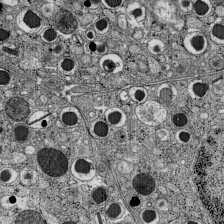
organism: C57BL Mouse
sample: Pancreatic islet